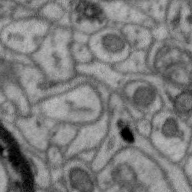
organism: Zebra finch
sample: Brain